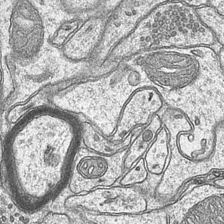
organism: Mouse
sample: CA1 Hippocampus